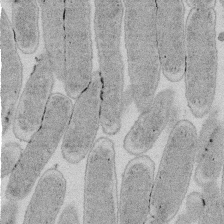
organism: E. coli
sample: Bacterial nucleoid